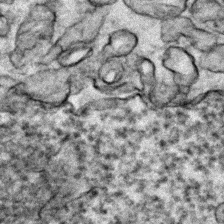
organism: Zebrafish